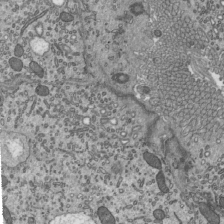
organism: Mouse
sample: Mouse epididymis efferent ductule cilia